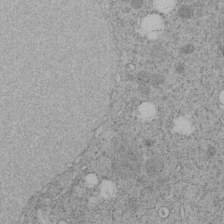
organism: C. elegans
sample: C. elegans embryo early stage